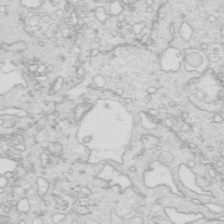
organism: Mouse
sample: Multiciliated cells